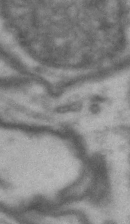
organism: Drosophila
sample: Brain